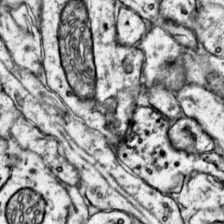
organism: Mouse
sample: Primary visual cortex